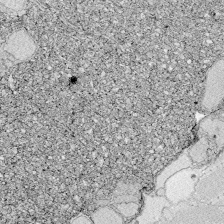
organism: Zebrafish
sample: Whole-Brain